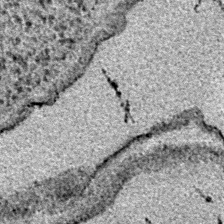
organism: E. coli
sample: E. Coli Bacteria